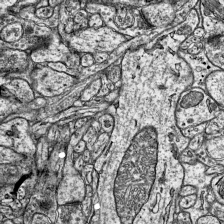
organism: Mouse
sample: Visual Cortex